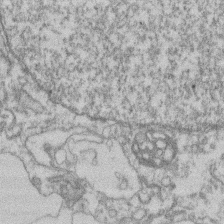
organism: Mouse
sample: T cell stromal cell synapse